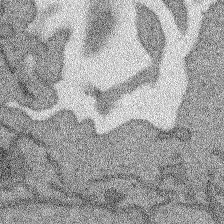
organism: Human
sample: HeLa cells